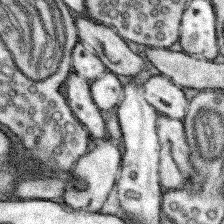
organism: Mouse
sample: Somatosensory cortex neuropil